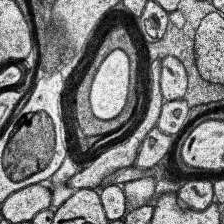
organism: Human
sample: Temporal Lobe